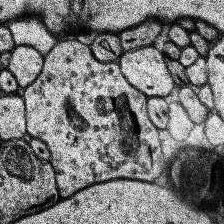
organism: Human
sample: Temporal Lobe